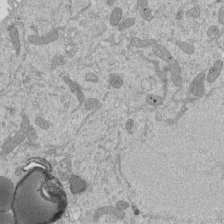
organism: Mouse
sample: ED-1 cell nuclei; centrioles